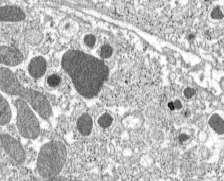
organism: C57BL Mouse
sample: Pancreatic islet